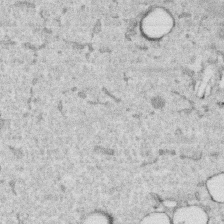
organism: Human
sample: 1205lu cells